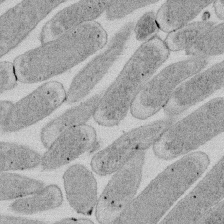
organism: E. coli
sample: Bacterial nucleoid